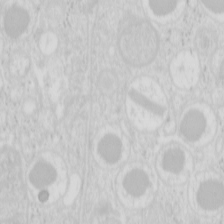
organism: Mouse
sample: Pancreas